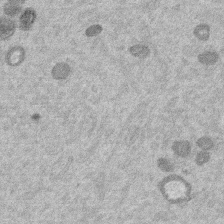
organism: Mouse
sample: Dividing mouse embryo 1 cell stage